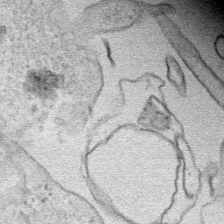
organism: Human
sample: Mitochondria in HCT116 cells